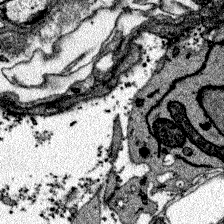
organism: Zebrafish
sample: Larval olfactory bulb